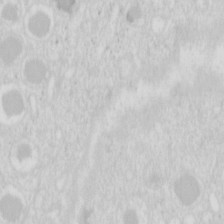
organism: Mouse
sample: Pancreas